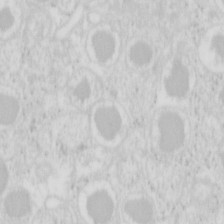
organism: Mouse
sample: Pancreas